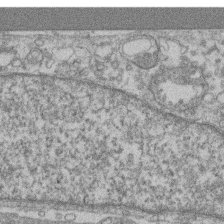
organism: Mouse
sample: T cell stromal cell synapse